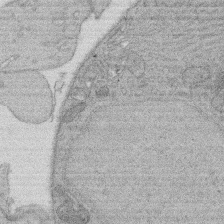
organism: Rat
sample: Salivary granule